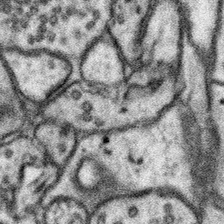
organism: Mouse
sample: Somatosensory cortex neuropil